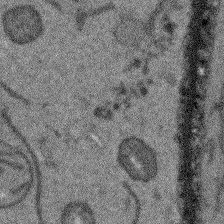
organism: Arabidopsis thaliana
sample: Root tip